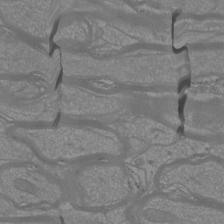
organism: Mouse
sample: Cortical neurons